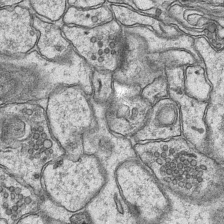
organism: Mouse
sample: CA1 Hippocampus